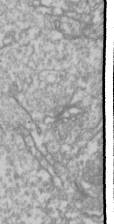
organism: Drosophila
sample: Cell division; meiosis; drosophila spermatocytes